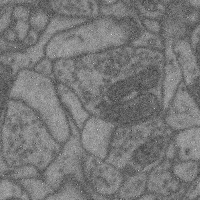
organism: Mouse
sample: Cerebral cortex